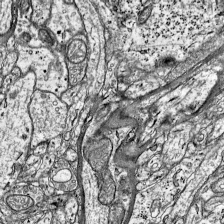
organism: Mouse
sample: Visual Cortex